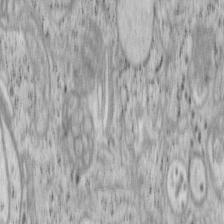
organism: Human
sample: HeLa cells